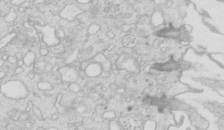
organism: Mouse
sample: Multiciliated cells